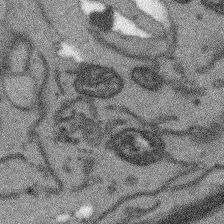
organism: Arabidopsis thaliana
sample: Root tip